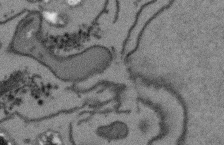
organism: Arabidopsis thaliana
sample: Root tip